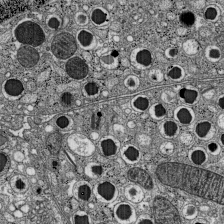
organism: C57BL Mouse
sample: Pancreatic islet